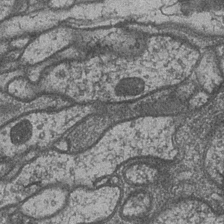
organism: Drosophila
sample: Optic medulla